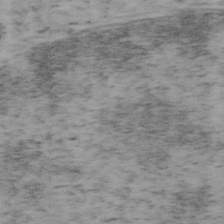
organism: Mouse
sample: OT-I killer T cells with ID8 ovarian cancer cells